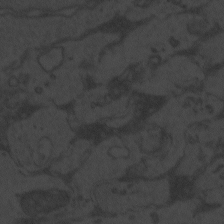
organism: Zebrafish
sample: Macrophage infected with Toxoplasma gondii